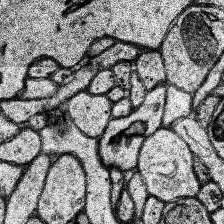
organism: Human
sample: Temporal Lobe